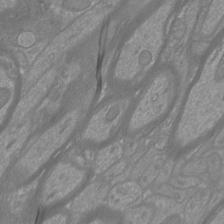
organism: Mouse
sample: Cortical neurons